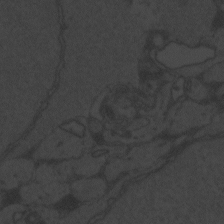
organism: Zebrafish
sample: Macrophage infected with Toxoplasma gondii